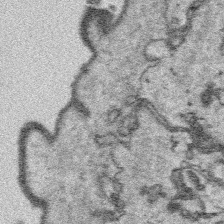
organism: Platynereis dumerilii